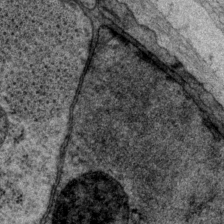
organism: P. pacificus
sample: Pharynx